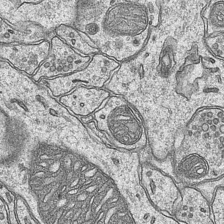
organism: Mouse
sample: CA1 Hippocampus